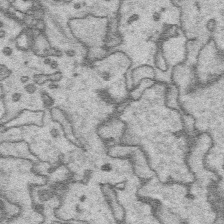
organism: Platynereis dumerilii